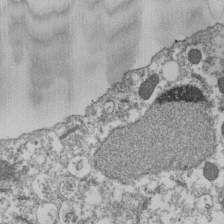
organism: Dictyostelium discoideum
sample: Dictyostelium multivesicular bodies